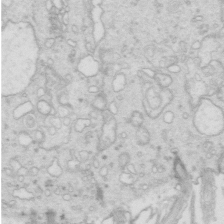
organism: Mouse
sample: Multiciliated cells